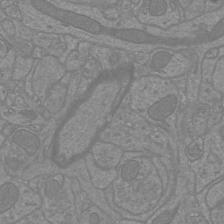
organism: Mouse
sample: Cortical neurons